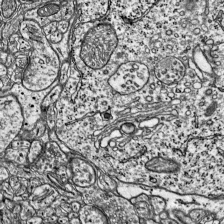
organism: Mouse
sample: Visual Cortex